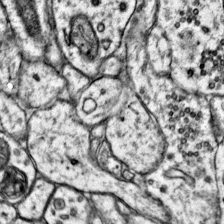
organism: Mouse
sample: Primary visual cortex